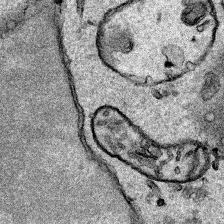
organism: Human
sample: Mitochondria in HCT116 cells